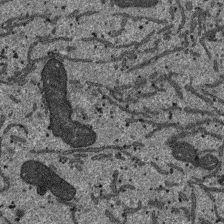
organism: Human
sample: Lung epithelial cells infected with SARS-CoV-2